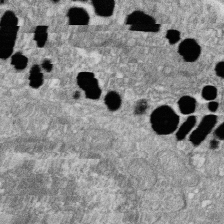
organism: Zebrafish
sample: Cilia; retinal pigment epithelium